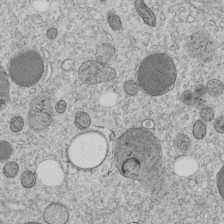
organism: C. elegans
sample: C. elegans embryo early stage